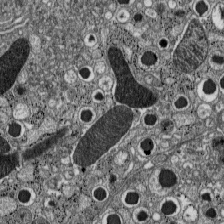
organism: C57BL Mouse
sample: Pancreatic islet